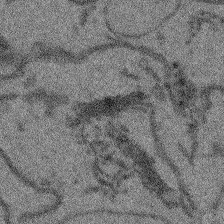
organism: Arabidopsis thaliana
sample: Root tip